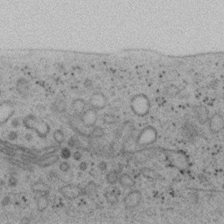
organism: Human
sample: HeLa cells